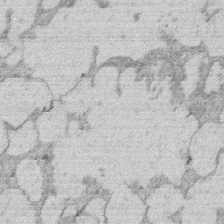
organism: Rat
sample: Salivary granule